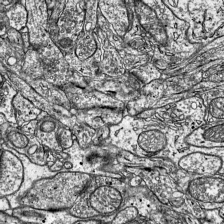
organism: Mouse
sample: Visual Cortex